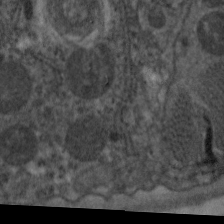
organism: C. elegans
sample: Pharynx